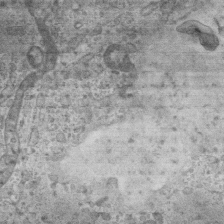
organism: Mouse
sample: Centriole in ependymal cells